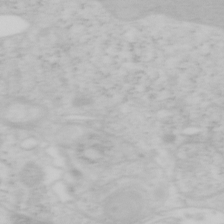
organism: Mouse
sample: OT-I killer T cells with ID8 ovarian cancer cells